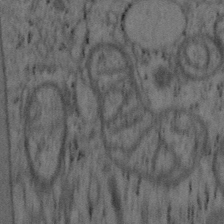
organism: Human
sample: HeLa cells